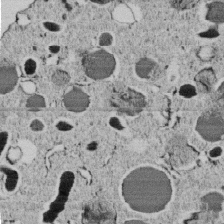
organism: C. elegans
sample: C. elegans embryo early stage